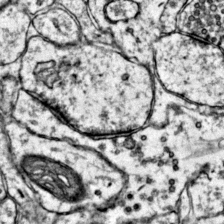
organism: Mouse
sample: Primary visual cortex